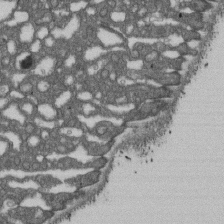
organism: Drosophila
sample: Nephrocyte